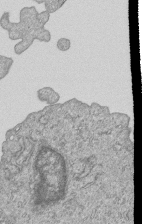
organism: Human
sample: MDA-MB-231 cells